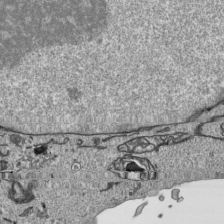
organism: Human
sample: Mitochondria in HCT116 cells